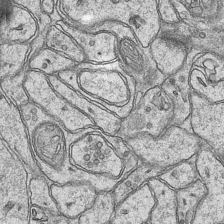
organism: Mouse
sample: CA1 Hippocampus